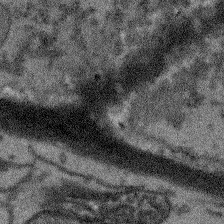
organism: Arabidopsis thaliana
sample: Root tip